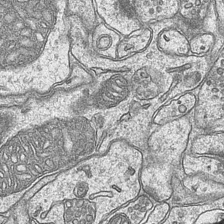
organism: Mouse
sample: CA1 Hippocampus